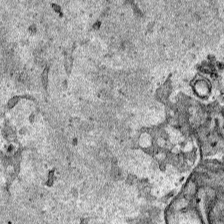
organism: Human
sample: Mitochondria in HCT116 cells